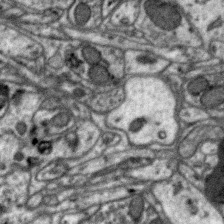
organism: Zebra finch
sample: Brain